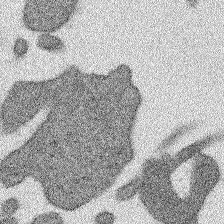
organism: Human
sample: HeLa cells